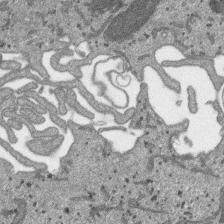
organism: Human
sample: Lung epithelial cells infected with SARS-CoV-2